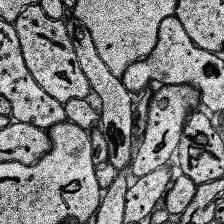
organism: Human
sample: Temporal Lobe